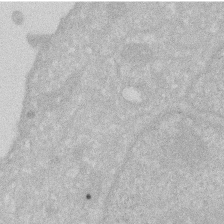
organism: Human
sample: HIV infected U937 cells